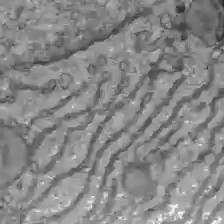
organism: C57BL Mouse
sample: Liver